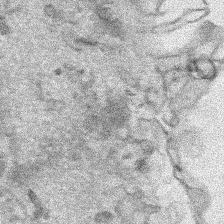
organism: Human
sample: Mitochondria in HCT116 cells